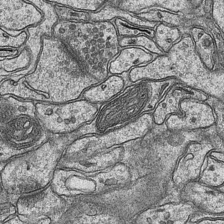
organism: Mouse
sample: CA1 Hippocampus